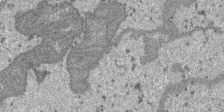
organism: Human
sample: Lung epithelial cells infected with SARS-CoV-2